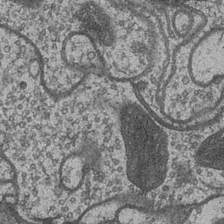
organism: Drosophila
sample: Optic medulla